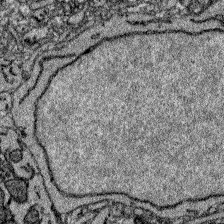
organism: Zebrafish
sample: Larval olfactory bulb